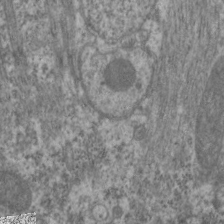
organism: C. elegans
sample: Pharynx